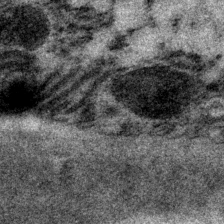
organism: P. pacificus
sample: Pharynx